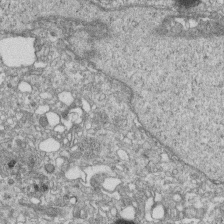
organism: Human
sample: HeLa cell HIV synapse